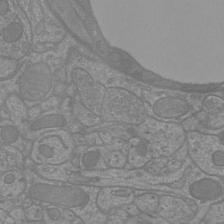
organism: Mouse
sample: Cortical neurons